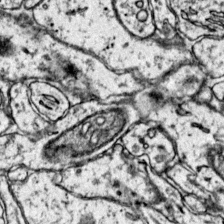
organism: Mouse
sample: Primary visual cortex